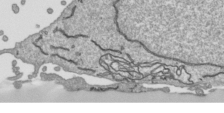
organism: Human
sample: Mitochondria in HCT116 cells